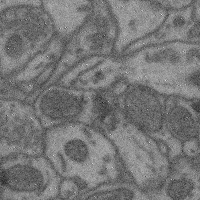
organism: Mouse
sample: Cerebral cortex